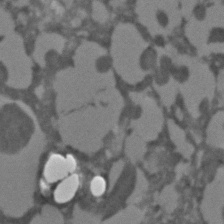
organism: C. elegans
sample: C. elegans embryo